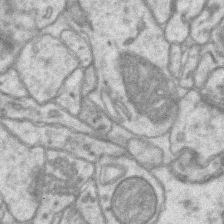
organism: Mouse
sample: CA1 Hippocampus